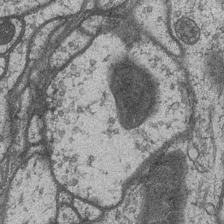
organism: Drosophila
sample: Optic medulla